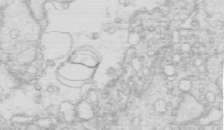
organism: Mouse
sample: Multiciliated cells